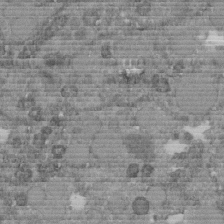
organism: C. elegans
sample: C. elegans embryo early stage